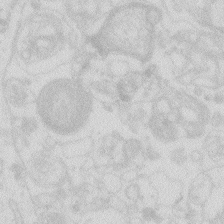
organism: Zebrafish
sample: Macrophage